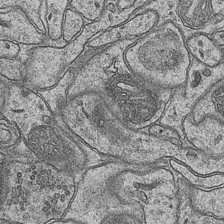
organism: Mouse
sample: CA1 Hippocampus